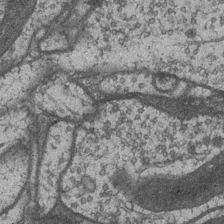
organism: Drosophila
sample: Optic medulla